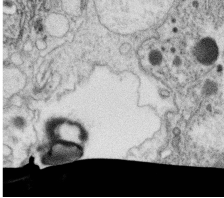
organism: C. elegans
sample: C. elegans oocyte; sperm cells